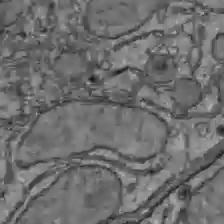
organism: C57BL Mouse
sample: Liver